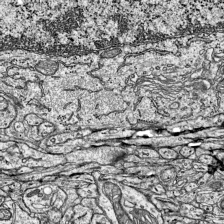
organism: Mouse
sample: Visual Cortex